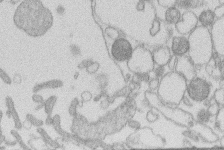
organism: Human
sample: Macrophage cells